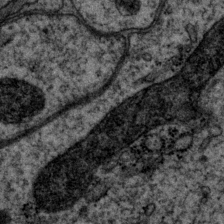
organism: P. pacificus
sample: Pharynx